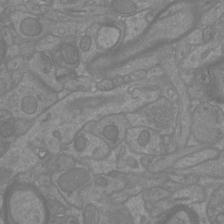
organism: Mouse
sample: Cortical neurons